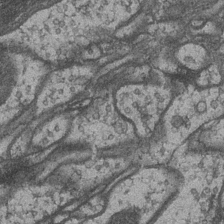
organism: Drosophila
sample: Optic medulla